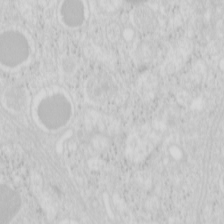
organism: Mouse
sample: Pancreas